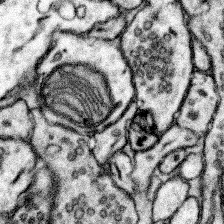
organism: Mouse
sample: Somatosensory cortex neuropil